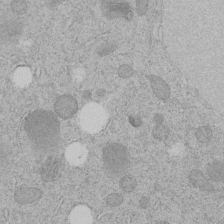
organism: C. elegans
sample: C. elegans embryo early stage